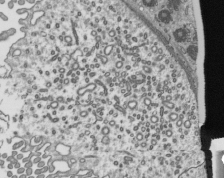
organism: Mouse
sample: Mouse epididymis efferent ductule cilia